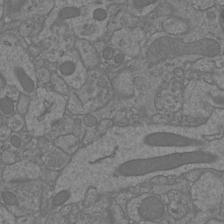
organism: Mouse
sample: Cortical neurons